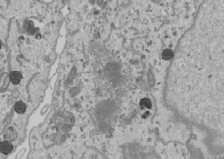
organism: Human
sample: Mitochondria in U2OS cells